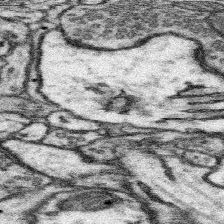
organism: Mouse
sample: Somatosensory cortex neuropil